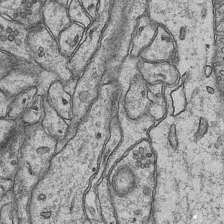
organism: Mouse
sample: CA1 Hippocampus